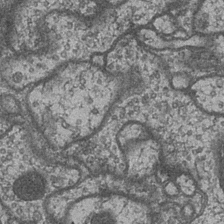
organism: Drosophila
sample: Optic medulla